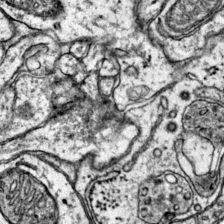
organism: Mouse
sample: Primary visual cortex